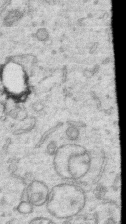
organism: Human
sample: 1205lu cells